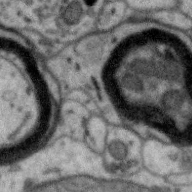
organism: Zebra finch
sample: Brain